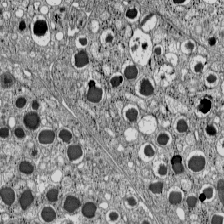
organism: C57BL Mouse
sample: Pancreatic islet